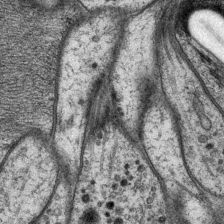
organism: P. pacificus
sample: Pharynx